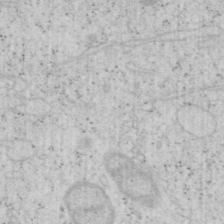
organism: Human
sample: HeLa cells